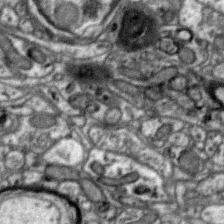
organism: Zebra finch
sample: Brain